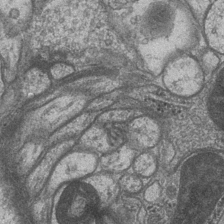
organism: Drosophila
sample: Optic medulla